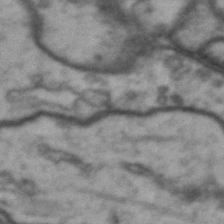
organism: Drosophila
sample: Brain